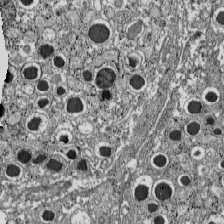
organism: C57BL Mouse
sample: Pancreatic islet